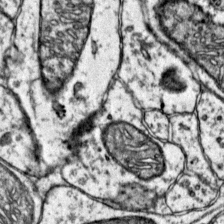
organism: Mouse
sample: Primary visual cortex